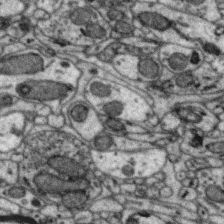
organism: Zebra finch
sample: Brain